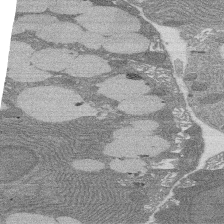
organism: Rat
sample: Salivary granule